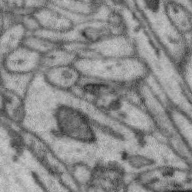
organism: Zebra finch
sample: Brain